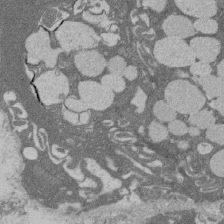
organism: Rat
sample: Salivary granule